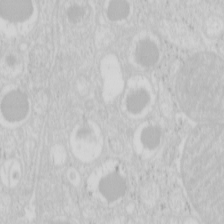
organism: Mouse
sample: Pancreas